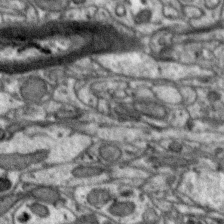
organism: Zebra finch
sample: Brain